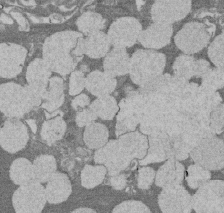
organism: Rat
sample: Salivary granule